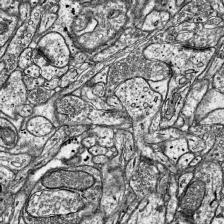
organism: Mouse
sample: Visual Cortex